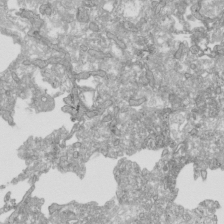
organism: Human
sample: Mitochondria in HCT116 cells